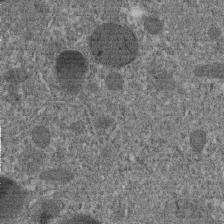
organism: C. elegans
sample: C. elegans embryo early stage